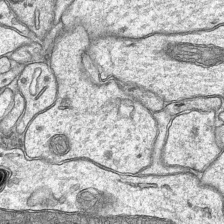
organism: Mouse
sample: CA1 Hippocampus